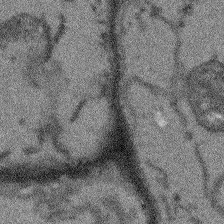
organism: Arabidopsis thaliana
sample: Root tip